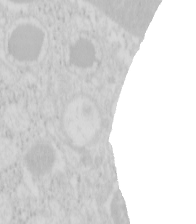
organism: Mouse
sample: Pancreas